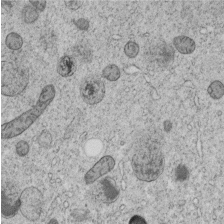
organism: C. elegans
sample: C. elegans embryo early stage